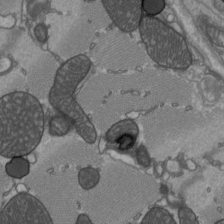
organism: C57BL Mouse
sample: Heart